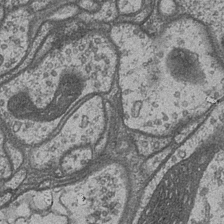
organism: Drosophila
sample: Optic medulla